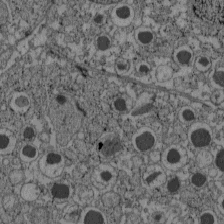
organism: C57BL Mouse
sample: Pancreatic islet